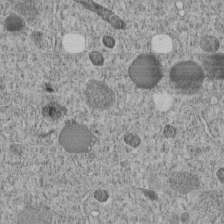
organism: C. elegans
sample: C. elegans embryo early stage